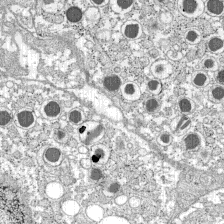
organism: C57BL Mouse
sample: Pancreatic islet